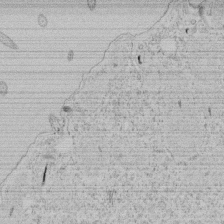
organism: Tetrahymena